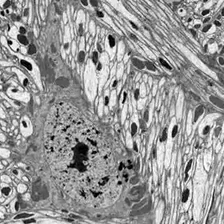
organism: Drosophila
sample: Optic lobe